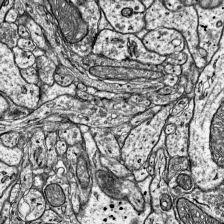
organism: Mouse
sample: Visual Cortex